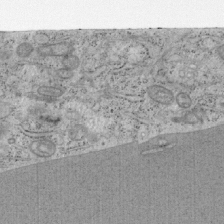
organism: Human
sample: HeLa cells